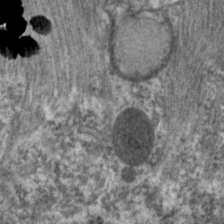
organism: C. elegans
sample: Pharynx